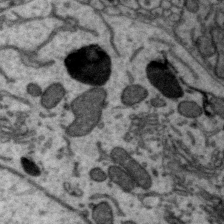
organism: Zebra finch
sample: Brain